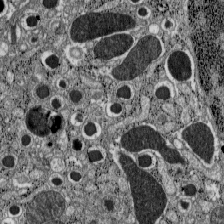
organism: C57BL Mouse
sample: Pancreatic islet